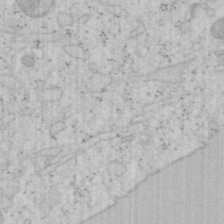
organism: Human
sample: HeLa cells